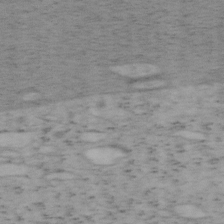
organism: Mouse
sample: OT-I killer T cells with ID8 ovarian cancer cells